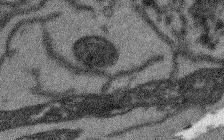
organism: Arabidopsis thaliana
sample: Root tip